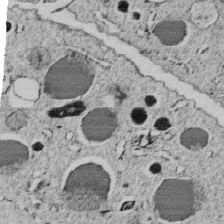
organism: C. elegans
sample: C. elegans embryo early stage